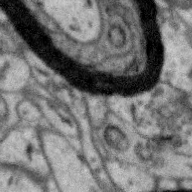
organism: Zebra finch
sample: Brain